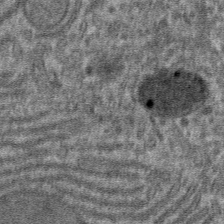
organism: Mouse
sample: Mouse hepatocytes